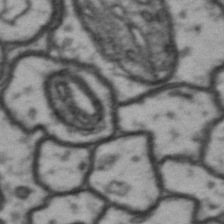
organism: Drosophila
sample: Brain